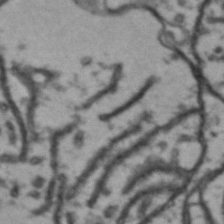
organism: Drosophila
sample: Brain